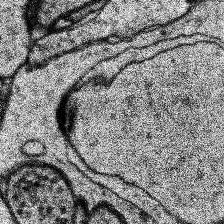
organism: Human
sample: Temporal Lobe